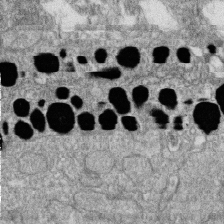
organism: Zebrafish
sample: Cilia; retinal pigment epithelium